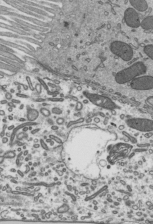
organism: Mouse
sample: Mouse epididymis efferent ductule cilia